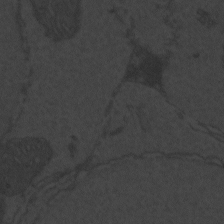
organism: Zebrafish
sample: Macrophage infected with Toxoplasma gondii